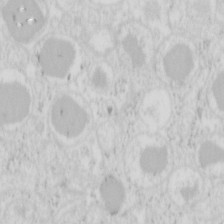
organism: Mouse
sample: Pancreas